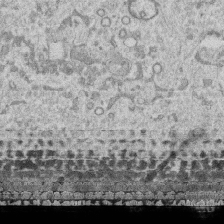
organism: Human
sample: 1205lu cells